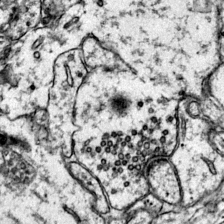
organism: Mouse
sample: Primary visual cortex